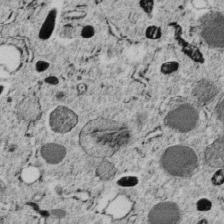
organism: C. elegans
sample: C. elegans embryo early stage